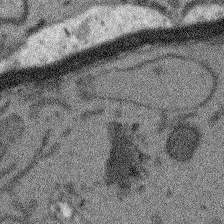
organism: Arabidopsis thaliana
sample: Root tip